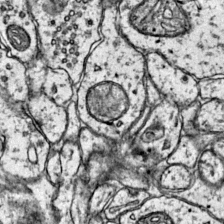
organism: Mouse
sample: Primary visual cortex